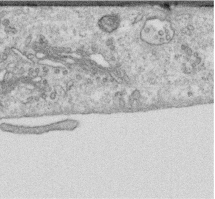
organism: Human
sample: Centriole in RPE cells